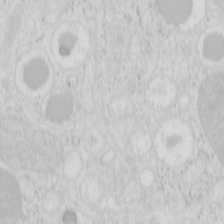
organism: Mouse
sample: Pancreas